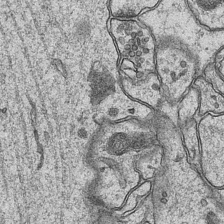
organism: Mouse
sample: CA1 Hippocampus